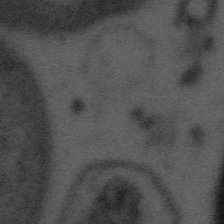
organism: Tuwongella immobilis